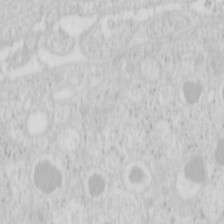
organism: Mouse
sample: Pancreas